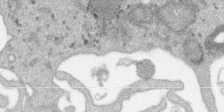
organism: Human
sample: Lung epithelial cells infected with SARS-CoV-2